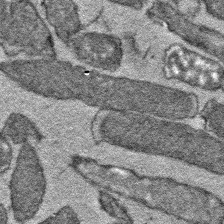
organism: E. coli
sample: E. Coli Bacteria